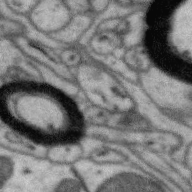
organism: Zebra finch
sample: Brain